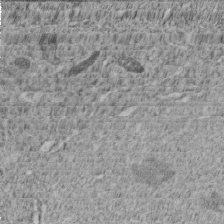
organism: C. elegans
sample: C. elegans embryo early stage